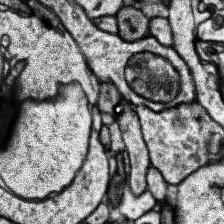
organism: Human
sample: Temporal Lobe